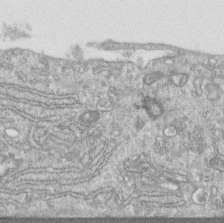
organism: Human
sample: Centriole in RPE cells